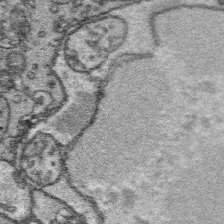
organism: Platynereis dumerilii